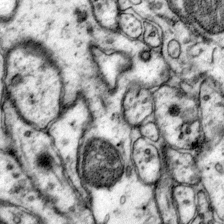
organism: Mouse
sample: Primary visual cortex